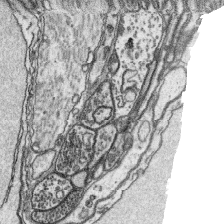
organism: Platynereis dumerilii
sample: Parapodia